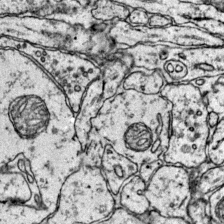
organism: Mouse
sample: Primary visual cortex